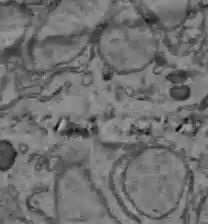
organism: C57BL Mouse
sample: Liver